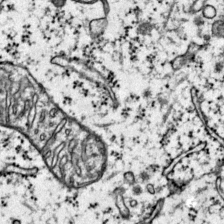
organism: Mouse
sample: Primary visual cortex